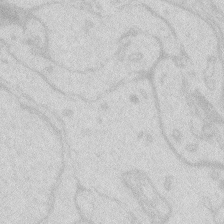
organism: Zebrafish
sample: Macrophage